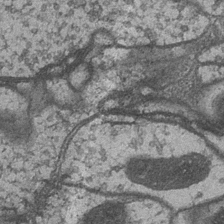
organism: Drosophila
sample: Optic medulla